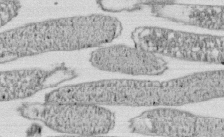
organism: E. coli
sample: Bacterial nucleoid